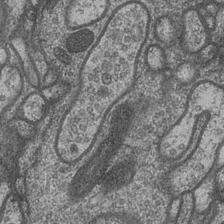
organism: Drosophila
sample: Optic medulla